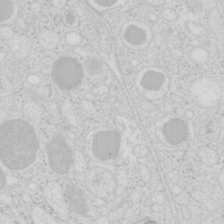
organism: Mouse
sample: Pancreas